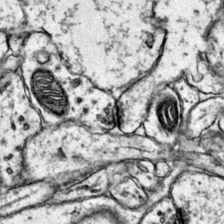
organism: Mouse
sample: Primary visual cortex